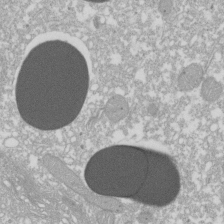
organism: Xenopus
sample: Cilia; centrioles in frog embryo cells